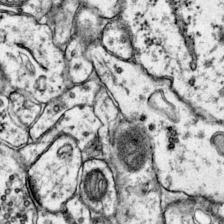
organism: Mouse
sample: Primary visual cortex